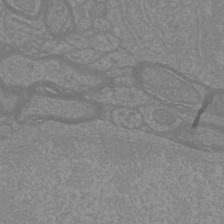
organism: Mouse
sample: Cortical neurons